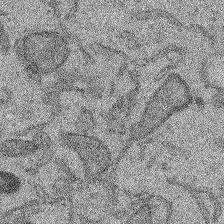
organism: Human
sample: HeLa cells